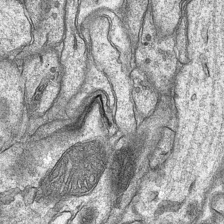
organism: Mouse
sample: CA1 Hippocampus